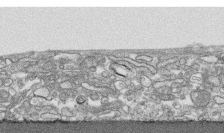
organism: Human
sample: CRL-1474